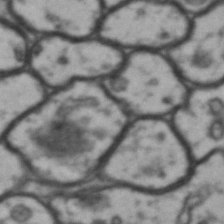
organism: Drosophila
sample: Brain